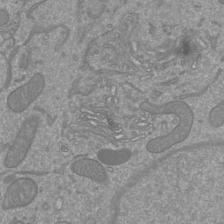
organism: Mouse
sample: Cortical neurons